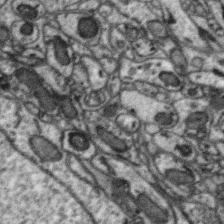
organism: Zebra finch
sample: Brain